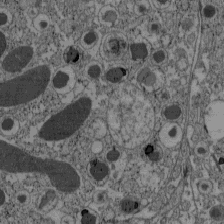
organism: C57BL Mouse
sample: Pancreatic islet